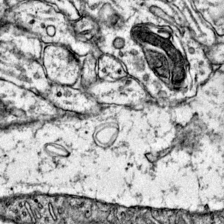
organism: Mouse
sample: Primary visual cortex